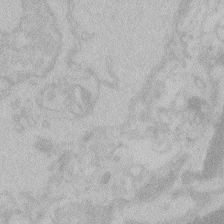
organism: Zebrafish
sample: Macrophage infected with Toxoplasma gondii